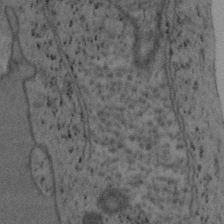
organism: Human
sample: HeLa cells